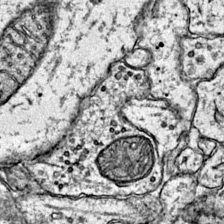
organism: Mouse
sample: Primary visual cortex